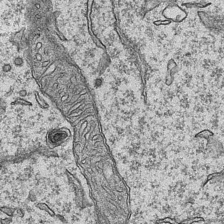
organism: Mouse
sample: CA1 Hippocampus